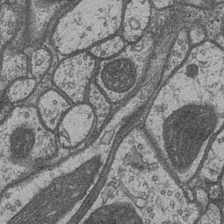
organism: Drosophila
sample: Optic medulla